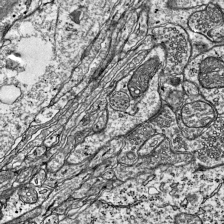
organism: Mouse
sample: Visual Cortex